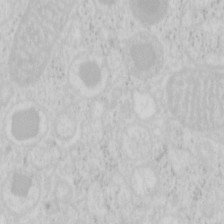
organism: Mouse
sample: Pancreas